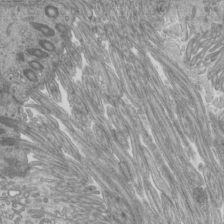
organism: Mouse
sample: Cilia; mouse epididymis